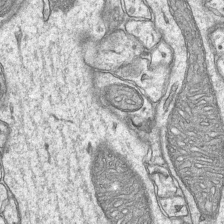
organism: Mouse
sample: CA1 Hippocampus